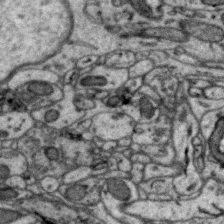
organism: Zebra finch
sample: Brain